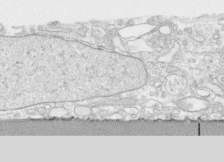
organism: Human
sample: CRL-1474